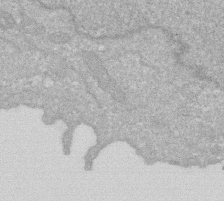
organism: Human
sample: HIV infected U937 cells